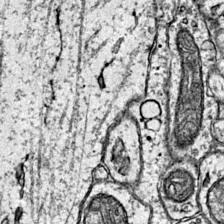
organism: Mouse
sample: Primary visual cortex